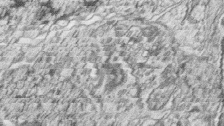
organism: Zebrafish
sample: synaptic ribbons in rod cells and cone cells